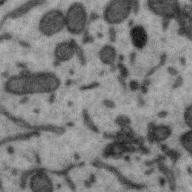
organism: Zebra finch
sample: Brain